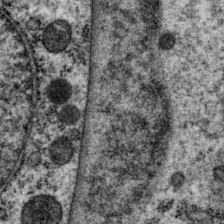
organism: P. pacificus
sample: Pharynx